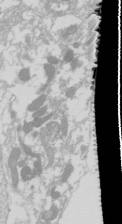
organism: Drosophila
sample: Cell division; meiosis; drosophila spermatocytes